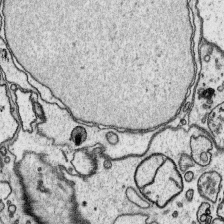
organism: Platynereis dumerilii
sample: Parapodia